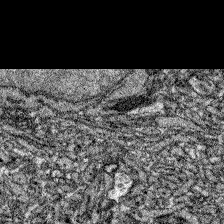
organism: Zebrafish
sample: Larval olfactory bulb